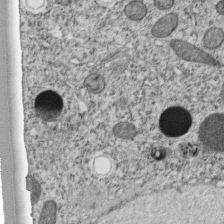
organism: C. elegans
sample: C. elegans embryo early stage